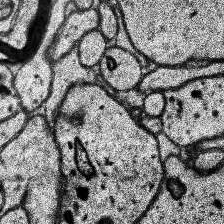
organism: Human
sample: Temporal Lobe